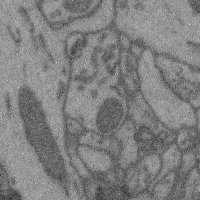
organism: Mouse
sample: Cerebral cortex